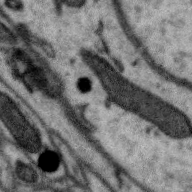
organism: Zebra finch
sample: Brain